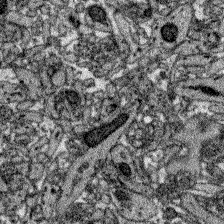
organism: Zebrafish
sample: Larval olfactory bulb